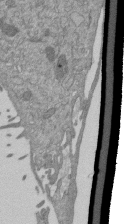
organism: Mouse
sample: ED-1 cell nuclei; centrioles